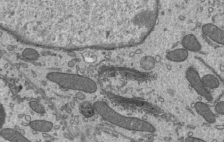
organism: Mouse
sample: Mouse epididymis efferent ductule cilia